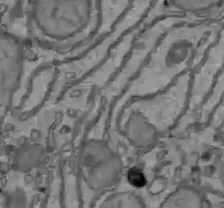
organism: C57BL Mouse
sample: Liver